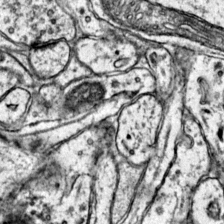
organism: Mouse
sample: Primary visual cortex